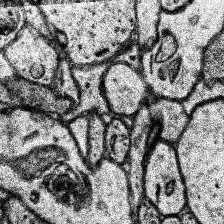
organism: Human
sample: Temporal Lobe